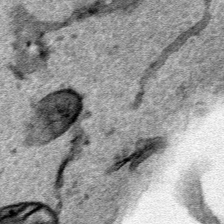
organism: Human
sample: Mitochondria in HCT116 cells